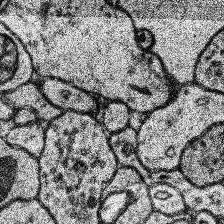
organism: Human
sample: Temporal Lobe